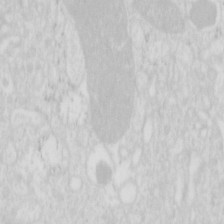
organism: Mouse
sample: Pancreas